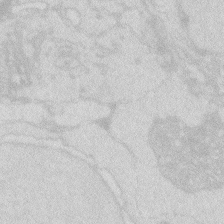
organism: Zebrafish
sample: Macrophage